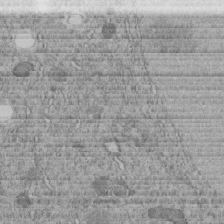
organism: C. elegans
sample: C. elegans embryo early stage